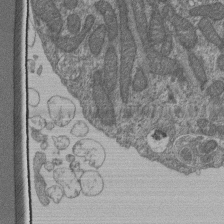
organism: Human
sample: Retinal organoid Rod and Cone cells